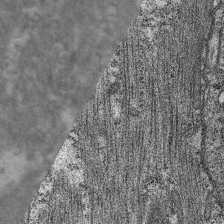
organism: C. elegans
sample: Pharynx